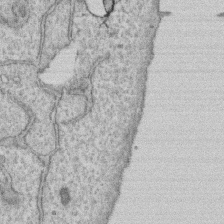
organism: Human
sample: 1205lu cells